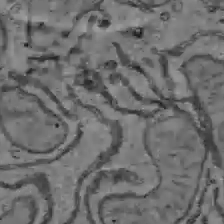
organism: C57BL Mouse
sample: Liver